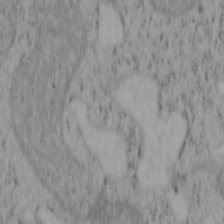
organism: Mouse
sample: OT-I killer T cells with ID8 ovarian cancer cells